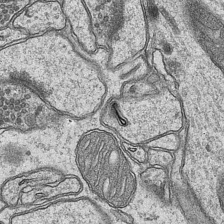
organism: Mouse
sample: CA1 Hippocampus